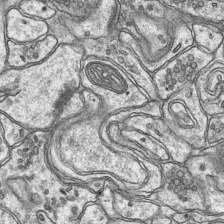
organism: Mouse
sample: CA1 Hippocampus